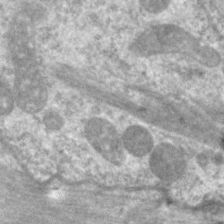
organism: C. elegans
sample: Pharynx